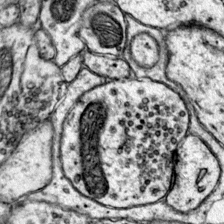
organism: Mouse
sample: Primary visual cortex